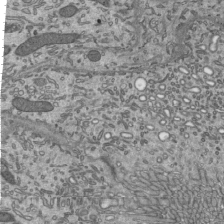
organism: Mouse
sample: Mouse epididymis efferent ductule cilia